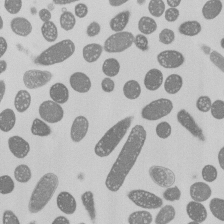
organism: E. coli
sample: Bacterial nucleoid